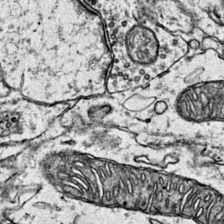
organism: Mouse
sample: Primary visual cortex